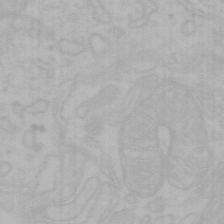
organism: Mouse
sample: Choroid plexus